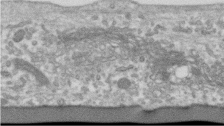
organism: Human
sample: Centriole in RPE cells